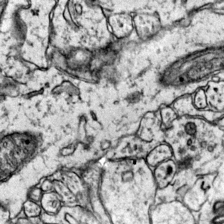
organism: Mouse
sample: Primary visual cortex